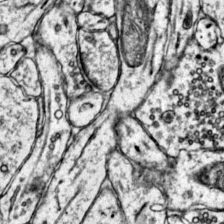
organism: Mouse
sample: Primary visual cortex